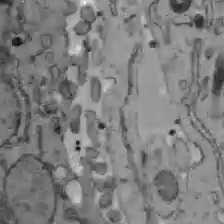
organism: C57BL Mouse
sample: Liver